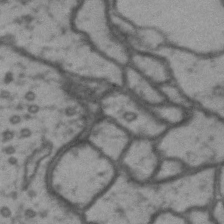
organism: Drosophila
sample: Brain